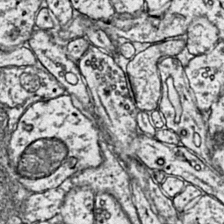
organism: Mouse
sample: Primary visual cortex